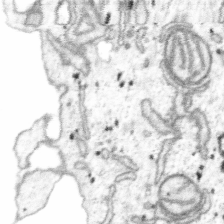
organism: Human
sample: HeLa cells